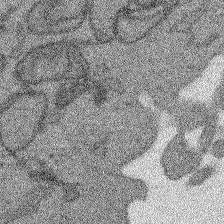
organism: Human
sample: HeLa cells